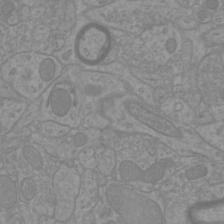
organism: Mouse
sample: Cortical neurons